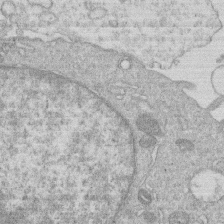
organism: Human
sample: Macrophage cells